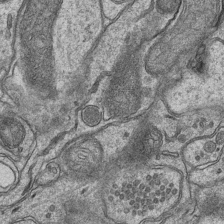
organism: Mouse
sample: CA1 Hippocampus